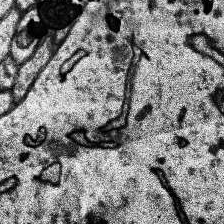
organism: Human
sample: Temporal Lobe